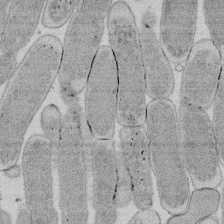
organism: E. coli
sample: Bacterial nucleoid